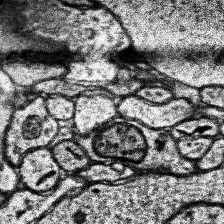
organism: Human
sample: Temporal Lobe